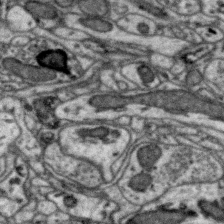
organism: Zebra finch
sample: Brain